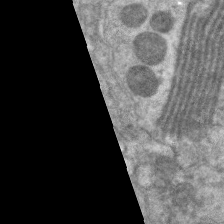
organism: C. elegans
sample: Pharynx